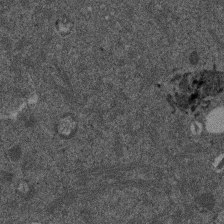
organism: Mouse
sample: Dividing mouse embryo 1 cell stage